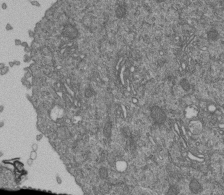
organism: Human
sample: Retinal organoid Rod and Cone cells